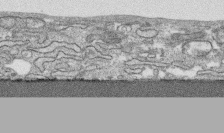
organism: Human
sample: CRL-1474